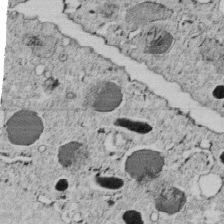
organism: C. elegans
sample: C. elegans embryo early stage